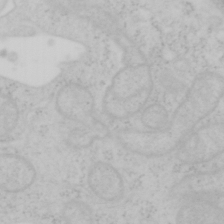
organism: Mouse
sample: OT-I killer T cells with ID8 ovarian cancer cells